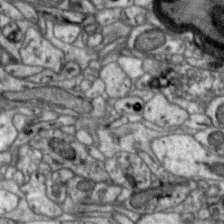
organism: Zebra finch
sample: Brain